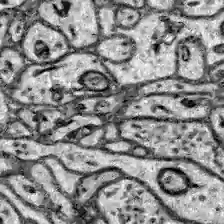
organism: Zebrafish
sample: Brain